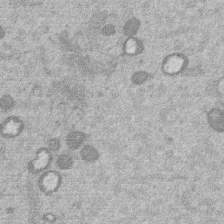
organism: Mouse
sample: Dividing mouse embryo 1 cell stage